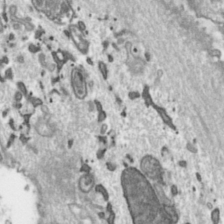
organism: Toxoplasma gondii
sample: Parasites in a vacuole inside a host cell